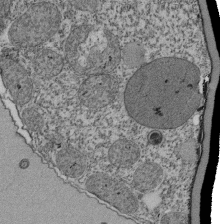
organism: Tetrahymena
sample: Cilia in tetrahymena